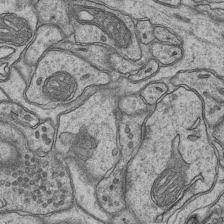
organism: Mouse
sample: CA1 Hippocampus